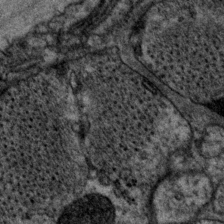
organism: P. pacificus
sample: Pharynx